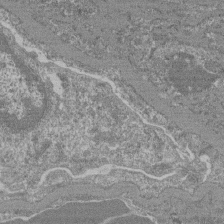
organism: Mouse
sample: Glomerulus